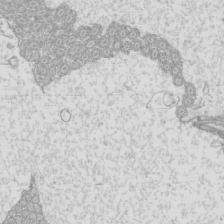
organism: Mouse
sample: Cilia; mouse epididymis